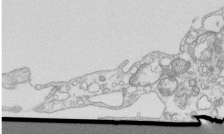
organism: Mouse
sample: Macrophages